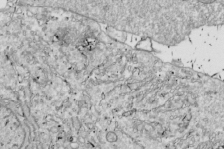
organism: Drosophila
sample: Cell division; meiosis; drosophila spermatocytes